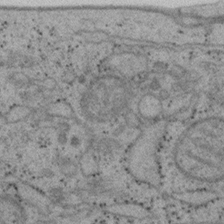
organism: Human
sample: HeLa cells